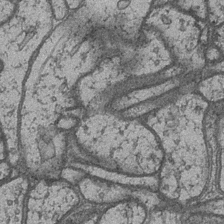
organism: Drosophila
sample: Optic medulla